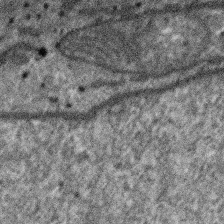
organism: Human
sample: Lung epithelial cells infected with SARS-CoV-2